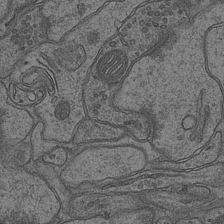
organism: Mouse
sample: CA1 Hippocampus